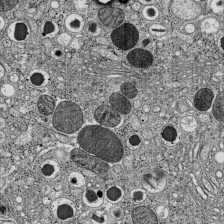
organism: C57BL Mouse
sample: Pancreatic islet